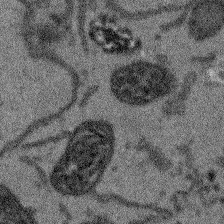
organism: Arabidopsis thaliana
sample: Root tip